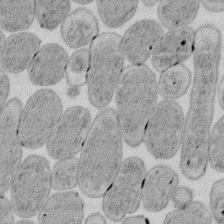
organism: E. coli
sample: Bacterial nucleoid